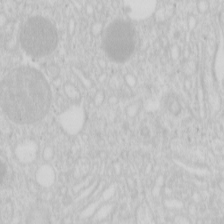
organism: Mouse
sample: Pancreas